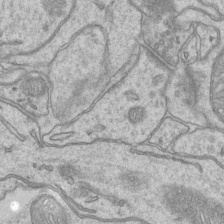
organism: Mouse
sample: CA1 Hippocampus